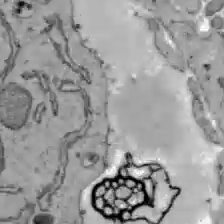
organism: C57BL Mouse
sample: Liver